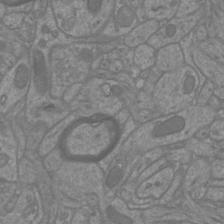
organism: Mouse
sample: Cortical neurons